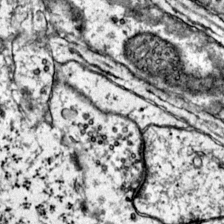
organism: Mouse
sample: Primary visual cortex